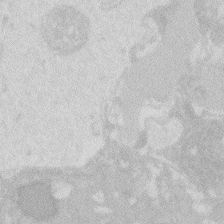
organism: Zebrafish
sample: Macrophage